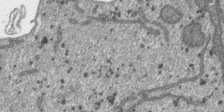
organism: Human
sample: Lung epithelial cells infected with SARS-CoV-2